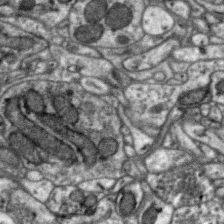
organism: Zebra finch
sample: Brain